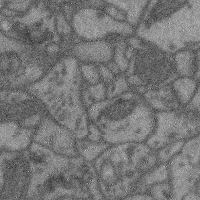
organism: Mouse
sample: Cerebral cortex